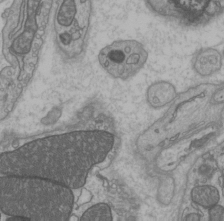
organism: C57BL Mouse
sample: Heart